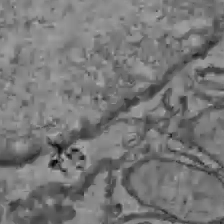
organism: C57BL Mouse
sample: Liver